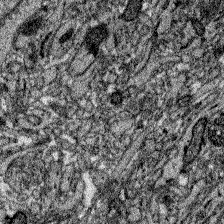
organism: Zebrafish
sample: Larval olfactory bulb